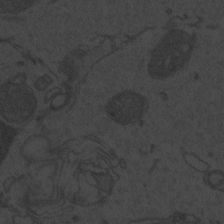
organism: Zebrafish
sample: Macrophage infected with Toxoplasma gondii